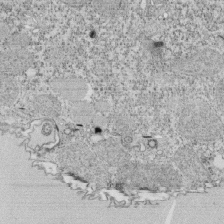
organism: Tetrahymena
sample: Cilia in tetrahymena